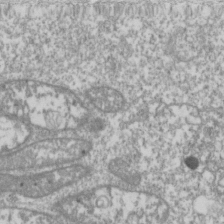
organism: Drosophila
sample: Cell division; meiosis; drosophila spermatocytes